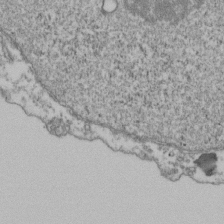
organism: Human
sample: Activated Jurkat CD4+ T cells